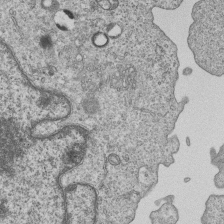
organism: Human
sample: MDA-MB-231 cells